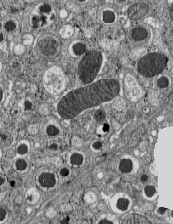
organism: C57BL Mouse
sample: Pancreatic islet